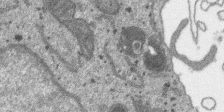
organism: Human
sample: Lung epithelial cells infected with SARS-CoV-2